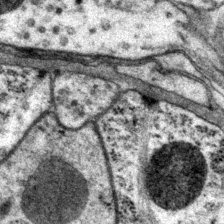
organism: P. pacificus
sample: Pharynx